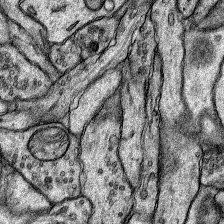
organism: Rat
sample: Hippocampus